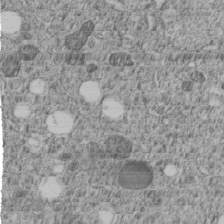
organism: C. elegans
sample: C. elegans embryo early stage